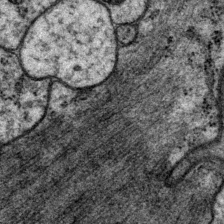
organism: P. pacificus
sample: Pharynx